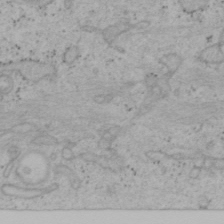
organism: Human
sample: HeLa cells